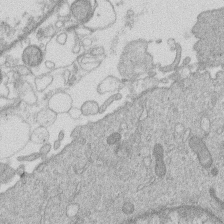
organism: Human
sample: Macrophage cells